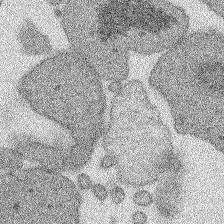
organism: Human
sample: HeLa cells